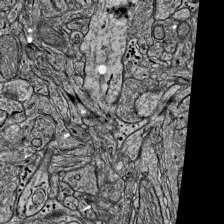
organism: Mouse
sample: Visual Cortex